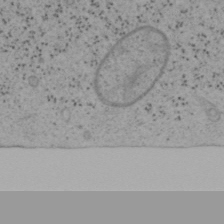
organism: Human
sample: HeLa cells